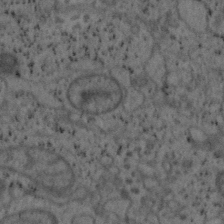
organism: Human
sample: HeLa cells